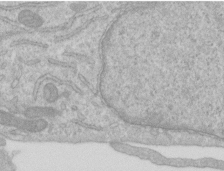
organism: Human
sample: Centriole in RPE cells